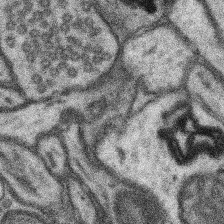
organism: Mouse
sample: Somatosensory cortex neuropil